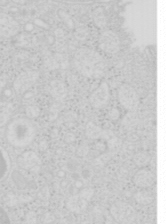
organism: Mouse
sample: Pancreas